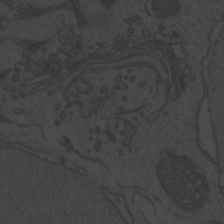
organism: Zebrafish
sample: Macrophage infected with Toxoplasma gondii